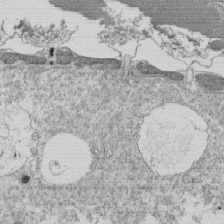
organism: Tetrahymena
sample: Cilia in tetrahymena